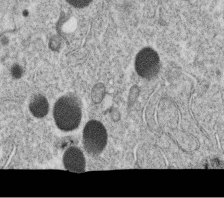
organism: C. elegans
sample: C. elegans oocyte; sperm cells